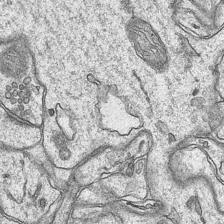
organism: Mouse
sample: CA1 Hippocampus